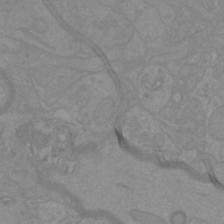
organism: Mouse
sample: Cortical neurons